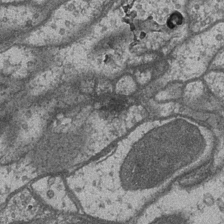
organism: Drosophila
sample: Optic medulla